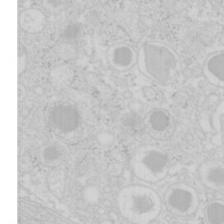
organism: Mouse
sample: Pancreas